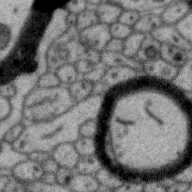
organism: Zebra finch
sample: Brain